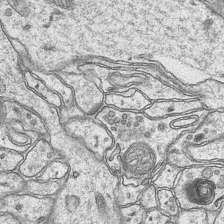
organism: Mouse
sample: CA1 Hippocampus